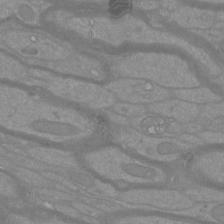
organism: Mouse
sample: Cortical neurons